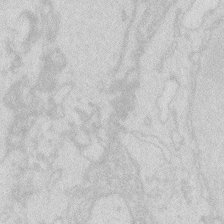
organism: Zebrafish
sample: Macrophage